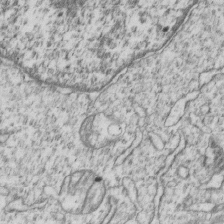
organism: Human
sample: MDA-MB-231 cells